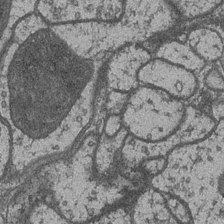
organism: Drosophila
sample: Optic medulla